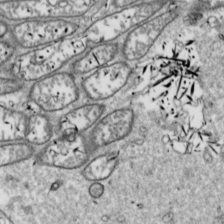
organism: Drosophila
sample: Cell division; meiosis; drosophila spermatocytes